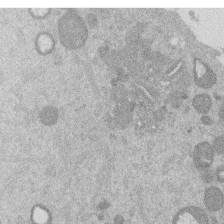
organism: Mouse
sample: Dividing mouse embryo 1 cell stage